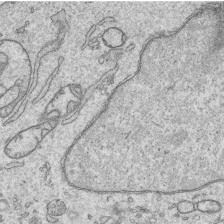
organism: Human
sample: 1205lu cells